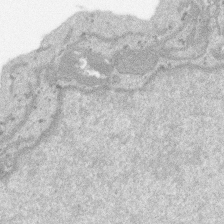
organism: Human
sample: Lung epithelial cells infected with SARS-CoV-2